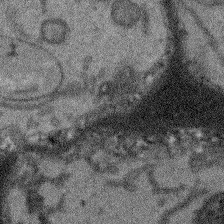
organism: Arabidopsis thaliana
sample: Root tip